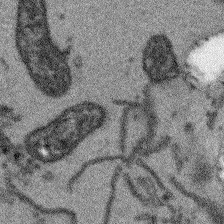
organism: Arabidopsis thaliana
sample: Root tip